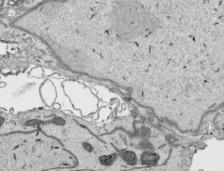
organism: Human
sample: Mitochondria in HCT116 cells